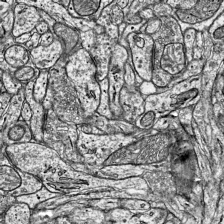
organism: Mouse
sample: Visual Cortex